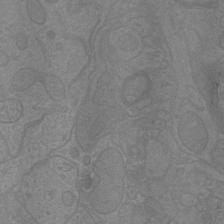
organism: Mouse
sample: Cortical neurons